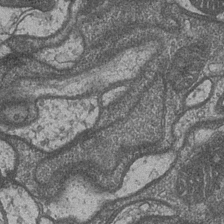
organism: Drosophila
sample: Optic medulla